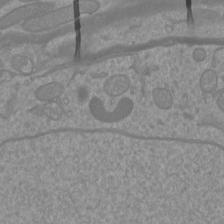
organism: Mouse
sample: Cortical neurons